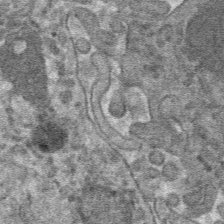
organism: Mouse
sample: Mouse hepatocytes